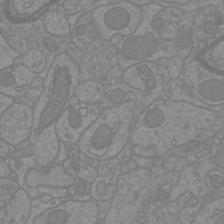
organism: Mouse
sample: Cortical neurons